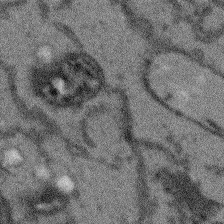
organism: Arabidopsis thaliana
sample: Root tip